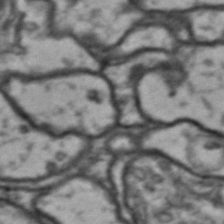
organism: Drosophila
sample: Brain